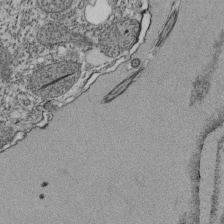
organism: Tetrahymena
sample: Cilia in tetrahymena